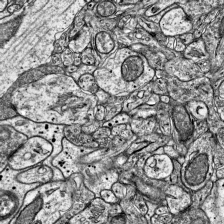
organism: Mouse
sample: Visual Cortex